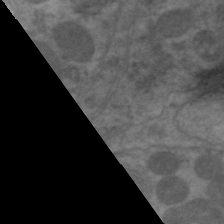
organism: C. elegans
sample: Pharynx